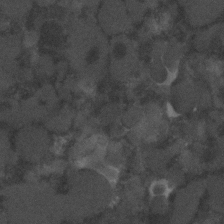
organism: C. elegans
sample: C. elegans embryo